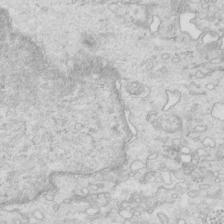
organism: Mouse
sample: Multiciliated cells